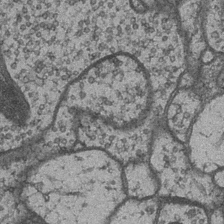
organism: Drosophila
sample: Optic medulla